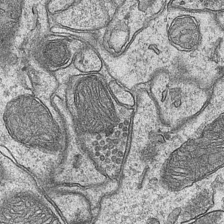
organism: Mouse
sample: CA1 Hippocampus